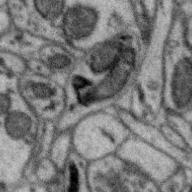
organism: Zebra finch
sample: Brain